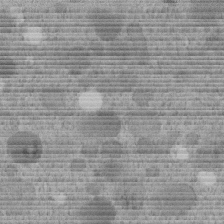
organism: C. elegans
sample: C. elegans embryo early stage